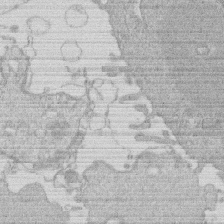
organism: Human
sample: Macrophage cells